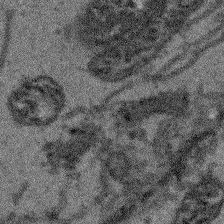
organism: Arabidopsis thaliana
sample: Root tip